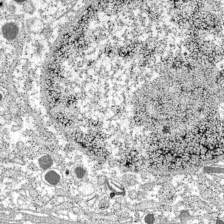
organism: C57BL Mouse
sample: Pancreatic islet